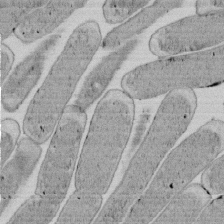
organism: E. coli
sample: Bacterial nucleoid